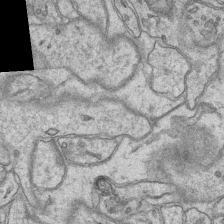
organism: Mouse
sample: CA1 Hippocampus